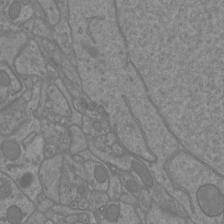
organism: Mouse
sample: Cortical neurons